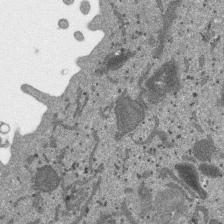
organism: Human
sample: Lung epithelial cells infected with SARS-CoV-2